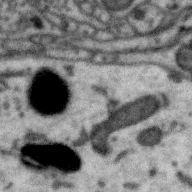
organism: Zebra finch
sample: Brain